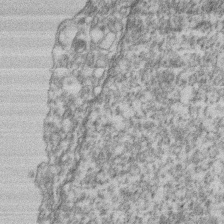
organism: Mouse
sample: T cell stromal cell synapse